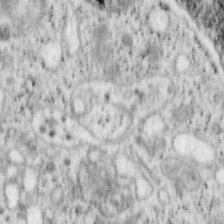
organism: Mouse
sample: OT-I killer T cells with ID8 ovarian cancer cells